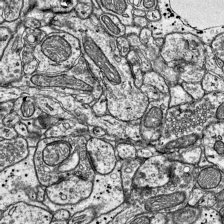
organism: Mouse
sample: Visual Cortex